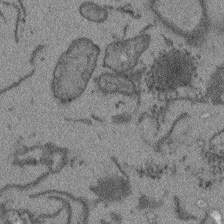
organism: Arabidopsis thaliana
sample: Root tip